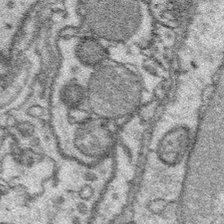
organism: Platynereis dumerilii